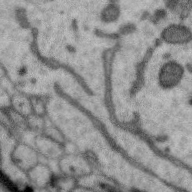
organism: Zebra finch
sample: Brain